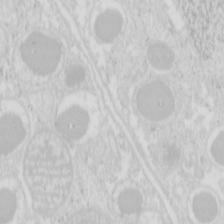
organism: Mouse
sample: Pancreas